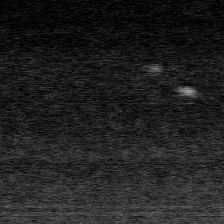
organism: Human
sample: HeLa cells